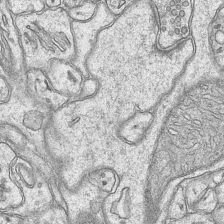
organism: Mouse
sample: CA1 Hippocampus